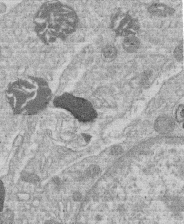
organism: Human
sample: Macrophage cells